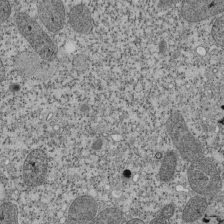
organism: Tetrahymena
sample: Cilia in tetrahymena